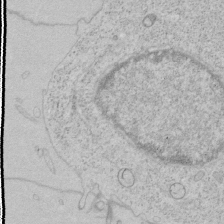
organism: Human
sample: Mitochondria in HCT116 cells